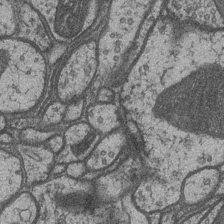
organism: Drosophila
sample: Optic medulla